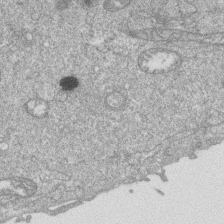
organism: Human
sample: HeLa cell HIV synapse